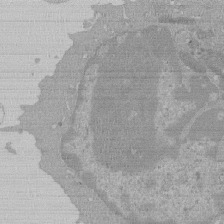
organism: Mouse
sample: Activated Pmel transgenic CD8+ T Cells